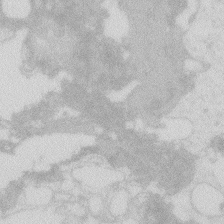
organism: Zebrafish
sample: Macrophage